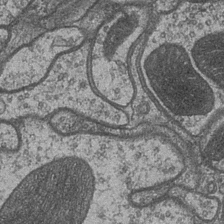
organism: Drosophila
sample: Optic medulla